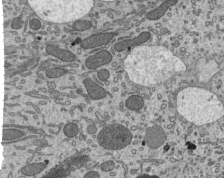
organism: Mouse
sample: Mouse epididymis efferent ductule cilia